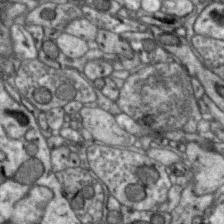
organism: Zebra finch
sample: Brain